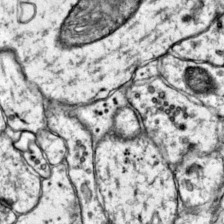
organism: Mouse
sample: Primary visual cortex